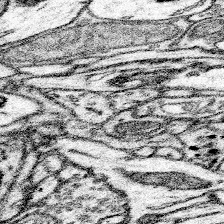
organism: Mouse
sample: Somatosensory cortex neuropil